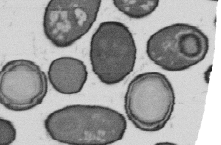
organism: B. subtilis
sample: Bacterial spore